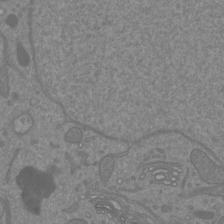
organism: Mouse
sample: Cortical neurons